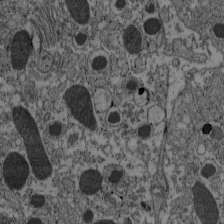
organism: C57BL Mouse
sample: Pancreatic islet